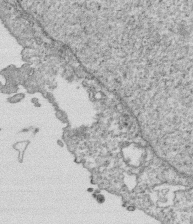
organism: Human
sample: HeLa cell HIV synapse